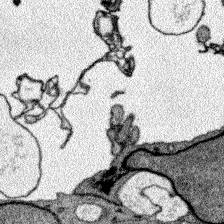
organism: Zebrafish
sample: Larval olfactory bulb